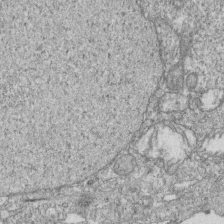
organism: Human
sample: HeLa cell HIV synapse